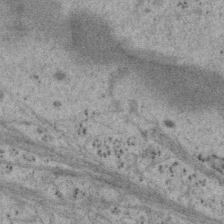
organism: Human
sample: HeLa cells